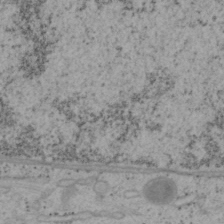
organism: Human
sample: HeLa cells